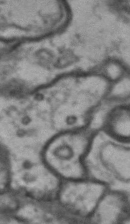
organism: Drosophila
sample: Brain